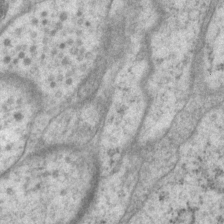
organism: P. pacificus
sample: Pharynx